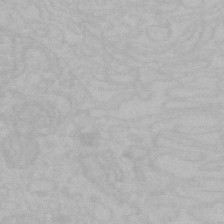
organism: Mouse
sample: Choroid plexus